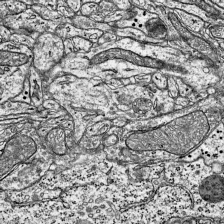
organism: Mouse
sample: Visual Cortex